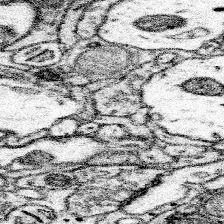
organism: Mouse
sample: Somatosensory cortex neuropil